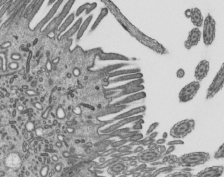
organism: Mouse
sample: Mouse epididymis efferent ductule cilia